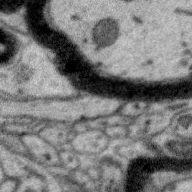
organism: Zebra finch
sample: Brain